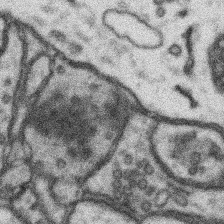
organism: Mouse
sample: Somatosensory cortex neuropil